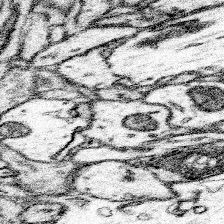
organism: Mouse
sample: Somatosensory cortex neuropil